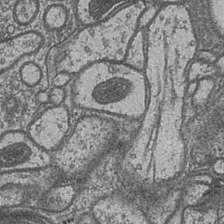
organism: Drosophila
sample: Optic medulla